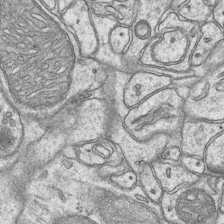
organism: Mouse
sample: CA1 Hippocampus